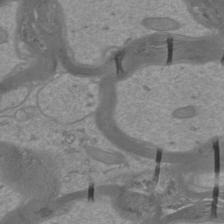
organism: Mouse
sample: Cortical neurons